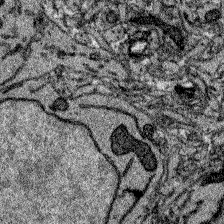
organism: Zebrafish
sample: Larval olfactory bulb